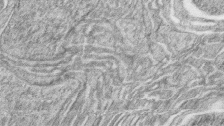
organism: Zebrafish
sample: synaptic ribbons in rod cells and cone cells